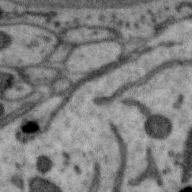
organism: Zebra finch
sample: Brain